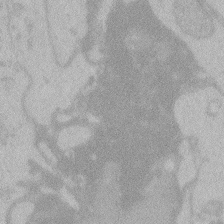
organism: Zebrafish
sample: Macrophage infected with Toxoplasma gondii